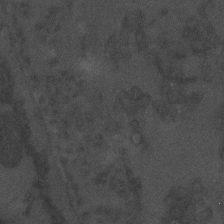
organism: C. elegans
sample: C. elegans embryo